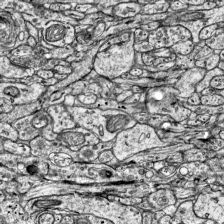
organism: Mouse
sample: Visual Cortex